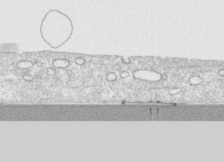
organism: Human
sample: CRL-1474